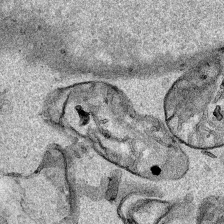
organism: Human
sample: Mitochondria in HCT116 cells